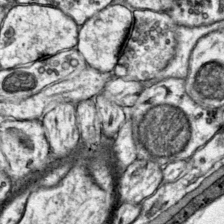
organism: Mouse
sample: Primary visual cortex